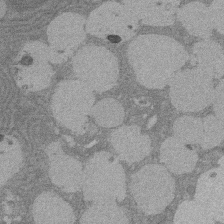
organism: Rat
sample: Salivary granule